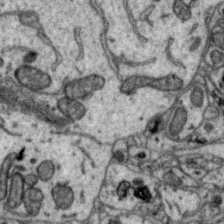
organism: Zebra finch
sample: Brain